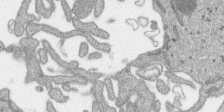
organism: Human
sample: Lung epithelial cells infected with SARS-CoV-2